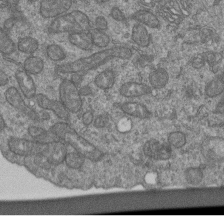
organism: Human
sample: Retinal organoid Rod and Cone cells